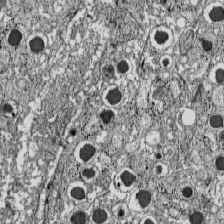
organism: C57BL Mouse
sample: Pancreatic islet